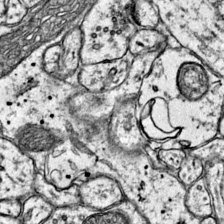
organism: Mouse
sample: Primary visual cortex